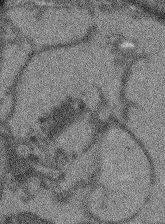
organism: Arabidopsis thaliana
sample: Root tip